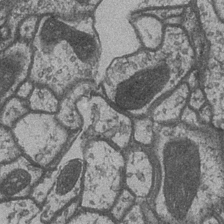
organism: Drosophila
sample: Optic medulla